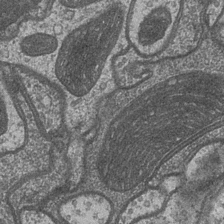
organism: Drosophila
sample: Optic medulla